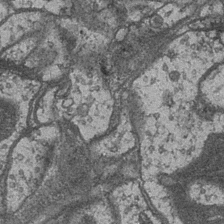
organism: Drosophila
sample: Optic medulla